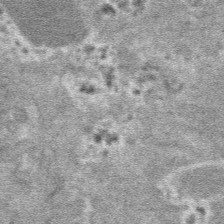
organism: Mouse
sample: Mouse hepatocytes